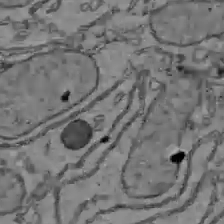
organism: C57BL Mouse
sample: Liver